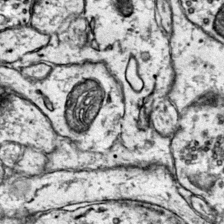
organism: Mouse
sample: Primary visual cortex